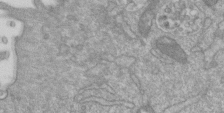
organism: Mouse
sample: ED-1 cell nuclei; centrioles